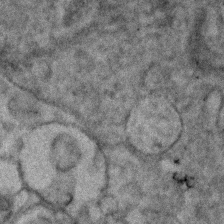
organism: Human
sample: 1205lu cells